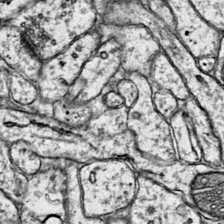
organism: Mouse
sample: Primary visual cortex